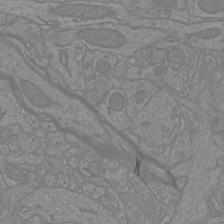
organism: Mouse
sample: Cortical neurons